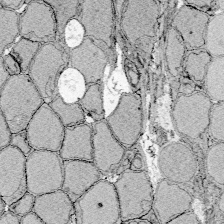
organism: Zebrafish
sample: Whole-Brain